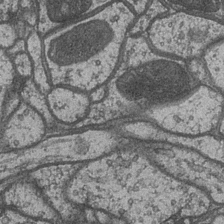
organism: Drosophila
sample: Optic medulla